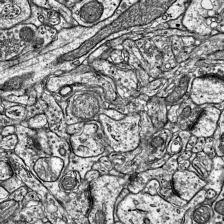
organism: Mouse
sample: Visual Cortex